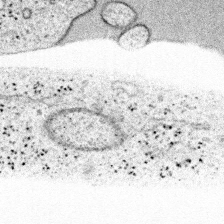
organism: Human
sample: HeLa cells